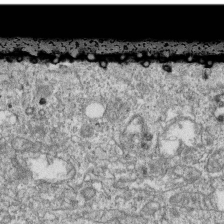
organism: Human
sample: HeLa cell HIV synapse